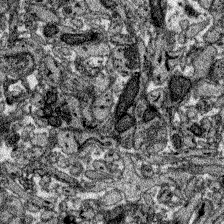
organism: Zebrafish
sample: Larval olfactory bulb